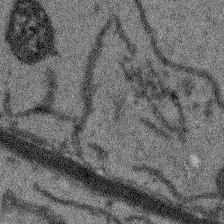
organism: Arabidopsis thaliana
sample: Root tip